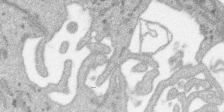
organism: Human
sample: Lung epithelial cells infected with SARS-CoV-2